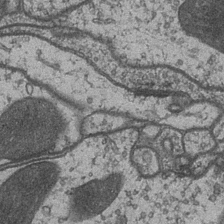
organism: Drosophila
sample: Optic medulla